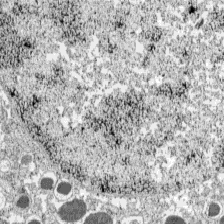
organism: C57BL Mouse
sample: Pancreatic islet